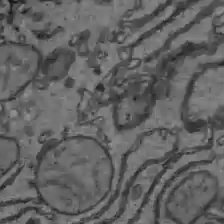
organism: C57BL Mouse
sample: Liver